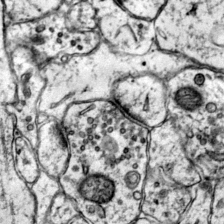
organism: Mouse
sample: Primary visual cortex